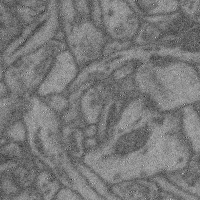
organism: Mouse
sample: Cerebral cortex